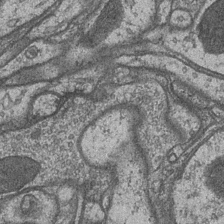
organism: Drosophila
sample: Optic medulla